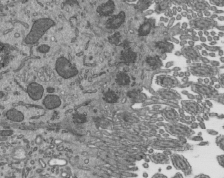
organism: Mouse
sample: Mouse epididymis efferent ductule cilia